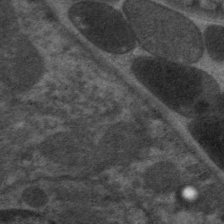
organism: C. elegans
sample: Pharynx